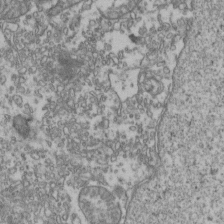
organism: Human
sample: Activated Jurkat CD4+ T cells